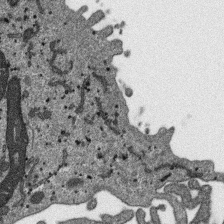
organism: Human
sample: Lung epithelial cells infected with SARS-CoV-2